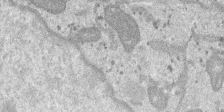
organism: Human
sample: Lung epithelial cells infected with SARS-CoV-2